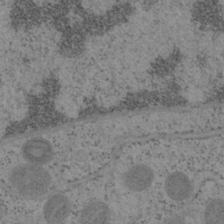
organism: Mouse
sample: OT-I killer T cells with ID8 ovarian cancer cells